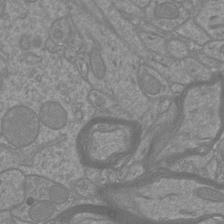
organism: Mouse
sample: Cortical neurons